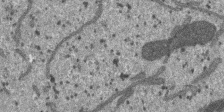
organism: Human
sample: Lung epithelial cells infected with SARS-CoV-2